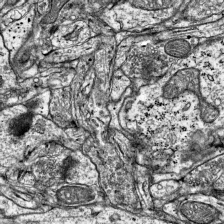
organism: Mouse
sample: Visual Cortex